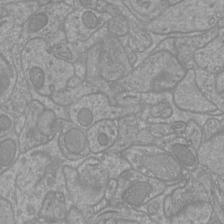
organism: Mouse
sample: Cortical neurons